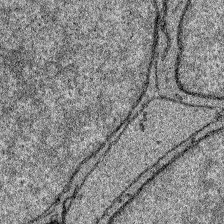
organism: Zebrafish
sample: Larval olfactory bulb